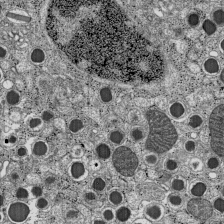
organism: C57BL Mouse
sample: Pancreatic islet